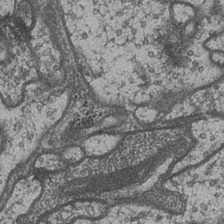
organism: Drosophila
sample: Optic medulla